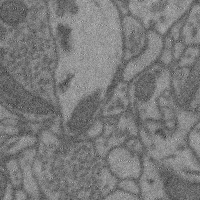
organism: Mouse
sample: Cerebral cortex